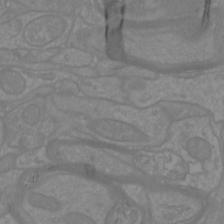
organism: Mouse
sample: Cortical neurons